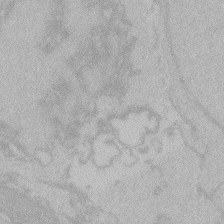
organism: Zebrafish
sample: Macrophage infected with Toxoplasma gondii